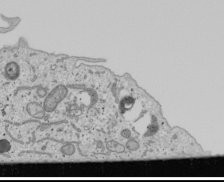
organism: Human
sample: Mitochondria in U2OS cells